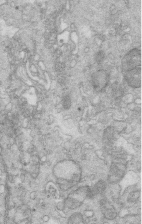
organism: Mouse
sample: Multiciliated cells